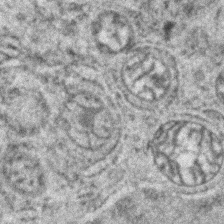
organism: Zebrafish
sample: Zebrafish embryo